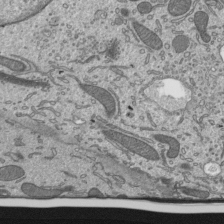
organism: Mouse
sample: Mouse epididymis efferent ductule cilia